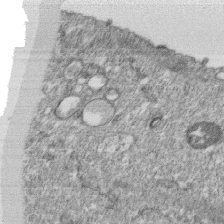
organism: African green monkey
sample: Vero E6 cells infected with SARS-CoV-2